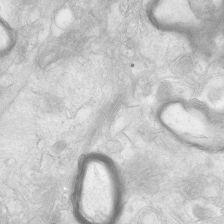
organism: Human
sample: Neocortex